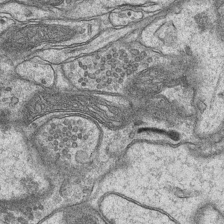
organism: Mouse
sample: CA1 Hippocampus